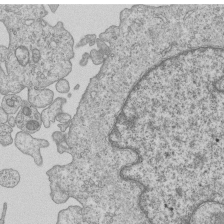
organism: Human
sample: MDA-MB-231 cells